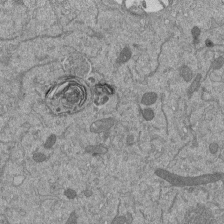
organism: Mouse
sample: ED-1 cell nuclei; centrioles